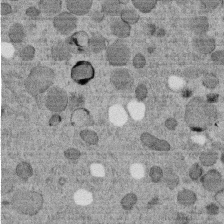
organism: C. elegans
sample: C. elegans embryo early stage